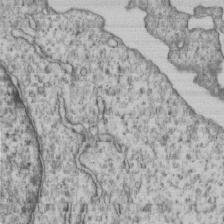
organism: Human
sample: MDA-MB-231 cells